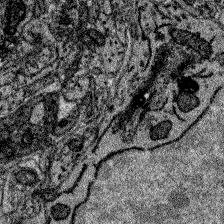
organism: Zebrafish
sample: Larval olfactory bulb